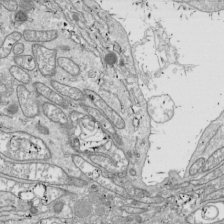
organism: Drosophila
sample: Cell division; meiosis; drosophila spermatocytes